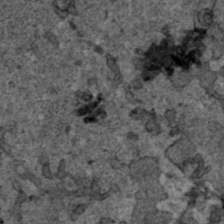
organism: Human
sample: Mitochondria in HCT116 cells